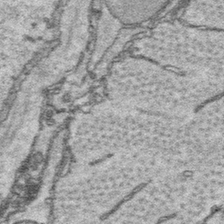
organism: Platynereis dumerilii